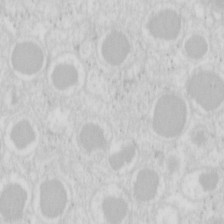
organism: Mouse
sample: Pancreas